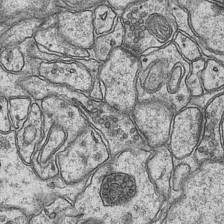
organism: Mouse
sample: CA1 Hippocampus